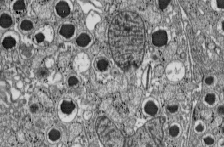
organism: C57BL Mouse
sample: Pancreatic islet